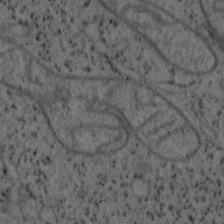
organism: Human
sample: HeLa cells